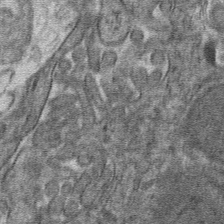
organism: Mouse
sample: Mouse hepatocytes